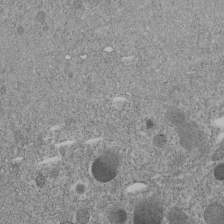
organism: C. elegans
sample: C. elegans embryo early stage